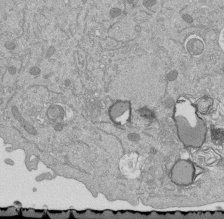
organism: Mouse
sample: ED-1 cell nuclei; centrioles